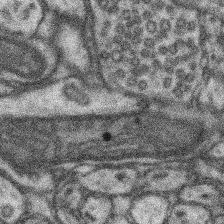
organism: Mouse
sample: Somatosensory cortex neuropil